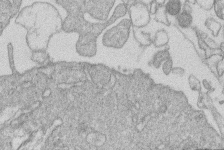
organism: Human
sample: Macrophage cells